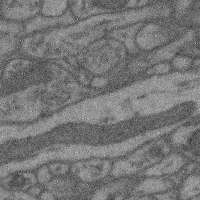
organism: Mouse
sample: Cerebral cortex